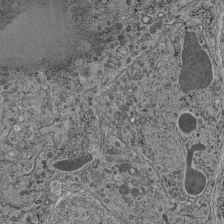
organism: C. elegans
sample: C. elegans pharynx